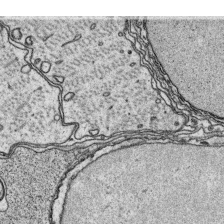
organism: Platynereis dumerilii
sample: Parapodia